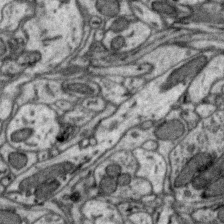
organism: Zebra finch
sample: Brain